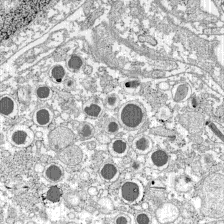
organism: C57BL Mouse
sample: Pancreatic islet